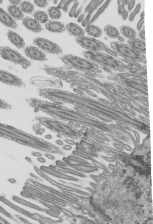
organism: Mouse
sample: Mouse epididymis efferent ductule cilia